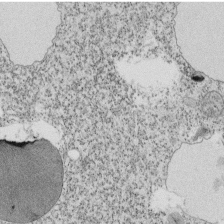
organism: Tetrahymena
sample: Cilia in tetrahymena